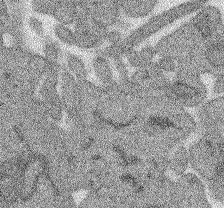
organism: Human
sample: HeLa cells